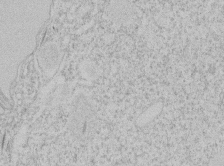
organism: Tetrahymena